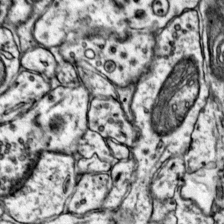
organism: Mouse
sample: Primary visual cortex